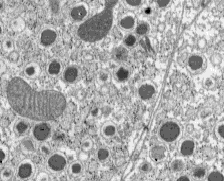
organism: C57BL Mouse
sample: Pancreatic islet